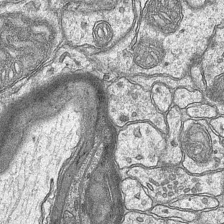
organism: Mouse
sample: CA1 Hippocampus